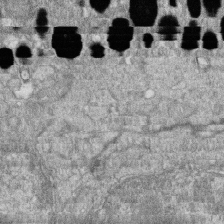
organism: Zebrafish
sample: Cilia; retinal pigment epithelium